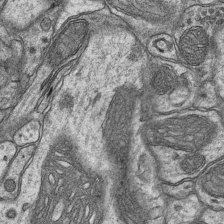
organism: Mouse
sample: CA1 Hippocampus